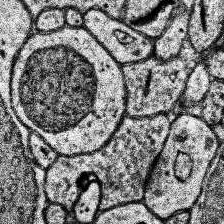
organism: Human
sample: Temporal Lobe